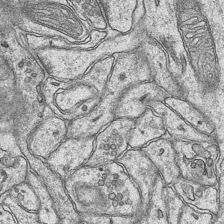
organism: Mouse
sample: CA1 Hippocampus